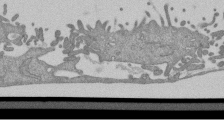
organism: Mouse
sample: ED-1 cell nuclei; centrioles